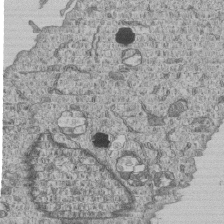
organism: Human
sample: MDA-MB-231 cells